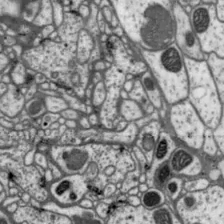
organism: Drosophila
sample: Protocerebral bridge